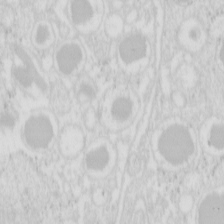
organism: Mouse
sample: Pancreas